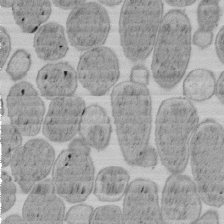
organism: E. coli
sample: Bacterial nucleoid